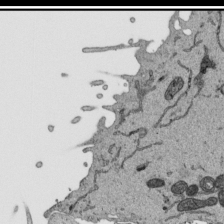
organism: Human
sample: Mitochondria in HCT116 cells